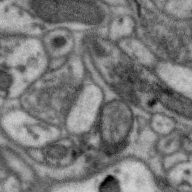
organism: Zebra finch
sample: Brain